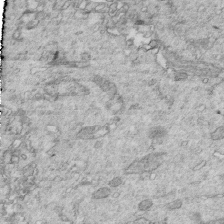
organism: Mouse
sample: Multiciliated cells